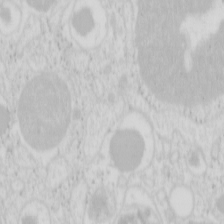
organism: Mouse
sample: Pancreas